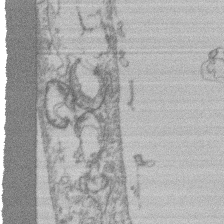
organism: Mouse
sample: T cell stromal cell synapse